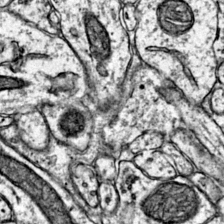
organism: Mouse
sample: Primary visual cortex